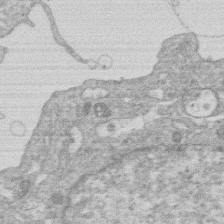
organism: Human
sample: Macrophage cells